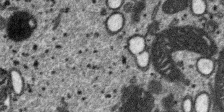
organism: Human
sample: Lung epithelial cells infected with SARS-CoV-2